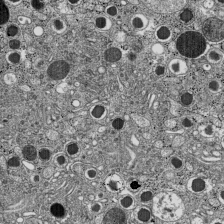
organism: C57BL Mouse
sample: Pancreatic islet